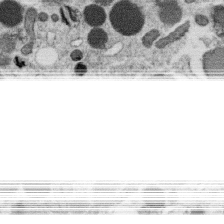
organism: C. elegans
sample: C. elegans oocyte; sperm cells